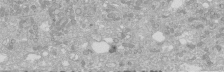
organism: Human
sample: Caco-2 cells